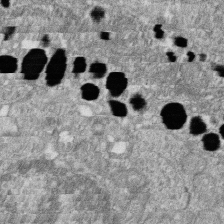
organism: Zebrafish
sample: Cilia; retinal pigment epithelium